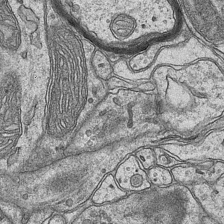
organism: Mouse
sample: CA1 Hippocampus